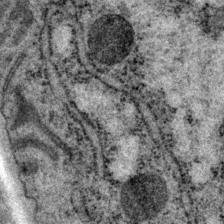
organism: P. pacificus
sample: Pharynx